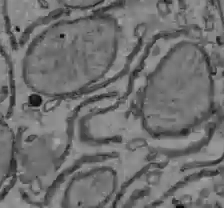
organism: C57BL Mouse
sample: Liver